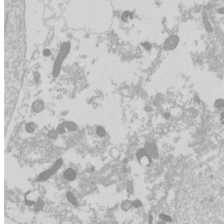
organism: Drosophila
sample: Cell division; meiosis; drosophila spermatocytes